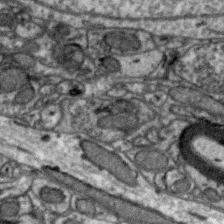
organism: Zebra finch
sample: Brain